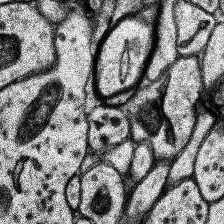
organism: Human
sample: Temporal Lobe